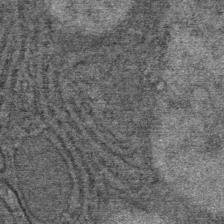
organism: Mouse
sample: Mouse Salivary gland